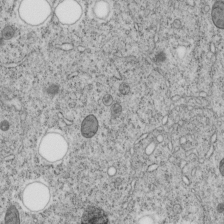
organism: C. elegans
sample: C. elegans embryo early stage